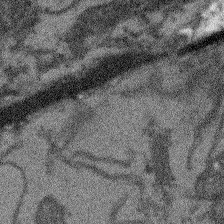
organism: Arabidopsis thaliana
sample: Root tip